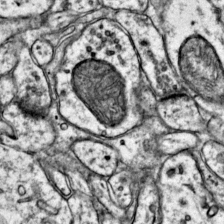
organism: Mouse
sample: Primary visual cortex